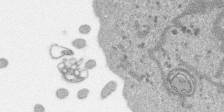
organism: Human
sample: Lung epithelial cells infected with SARS-CoV-2